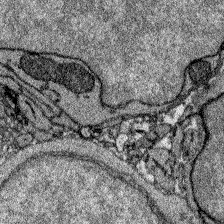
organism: Zebrafish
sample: Larval olfactory bulb